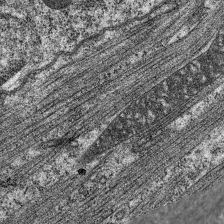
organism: C. elegans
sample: Pharynx